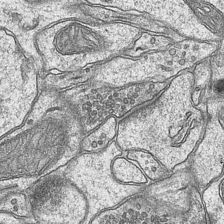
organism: Mouse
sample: CA1 Hippocampus